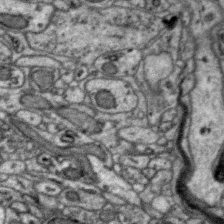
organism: Zebra finch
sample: Brain